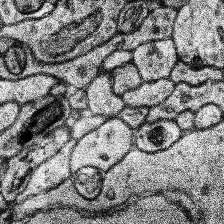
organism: Human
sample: Temporal Lobe